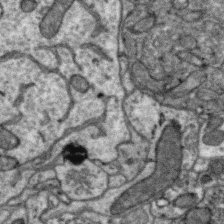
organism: Zebra finch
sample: Brain